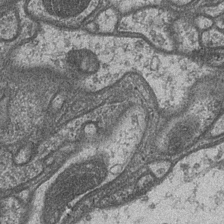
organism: Drosophila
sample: Optic medulla